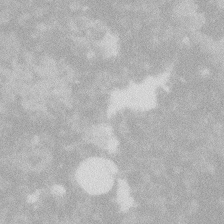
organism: Zebrafish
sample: Macrophage